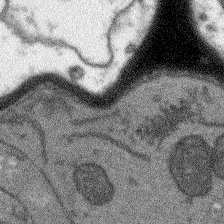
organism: Arabidopsis thaliana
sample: Root tip